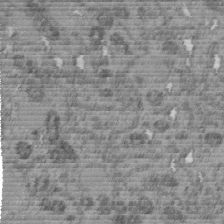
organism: C. elegans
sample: C. elegans embryo early stage